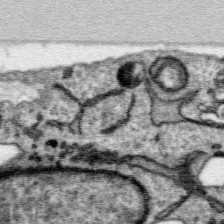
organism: Human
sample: HeLa cells